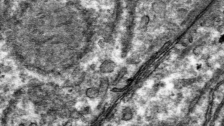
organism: Mouse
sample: Mouse hepatocytes